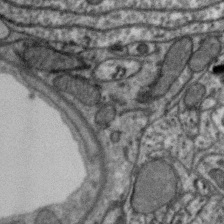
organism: Zebra finch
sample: Brain